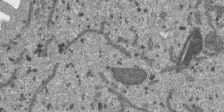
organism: Human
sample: Lung epithelial cells infected with SARS-CoV-2